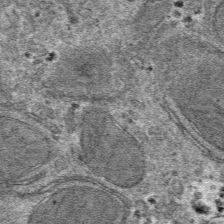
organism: Mouse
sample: Mouse hepatocytes